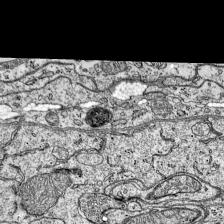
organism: Mouse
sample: Visual Cortex